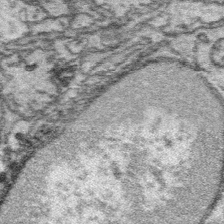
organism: Platynereis dumerilii